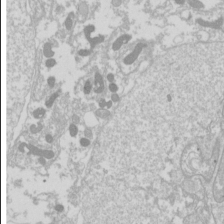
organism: Drosophila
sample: Cell division; meiosis; drosophila spermatocytes